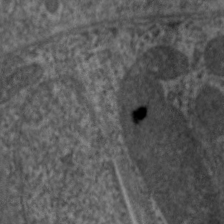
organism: C. elegans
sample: Pharynx